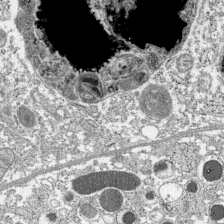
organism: C57BL Mouse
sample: Pancreatic islet